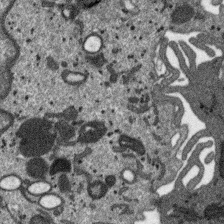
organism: Human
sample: Lung epithelial cells infected with SARS-CoV-2